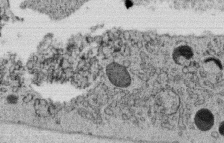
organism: C. elegans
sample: C. elegans oocyte; sperm cells